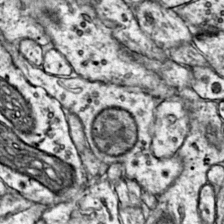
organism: Mouse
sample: Primary visual cortex